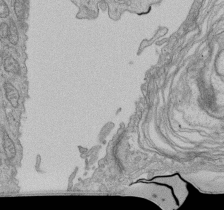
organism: Human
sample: Retinal organoid Rod and Cone cells